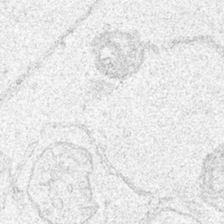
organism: Human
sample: Mitochondria in HCT116 cells